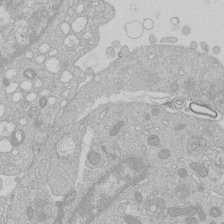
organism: Human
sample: Macrophage cells